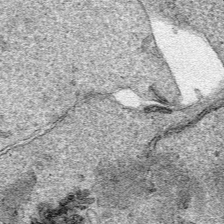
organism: Human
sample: Mitochondria in HCT116 cells